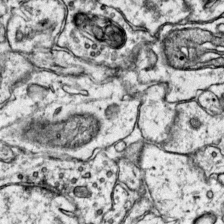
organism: Mouse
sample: Primary visual cortex